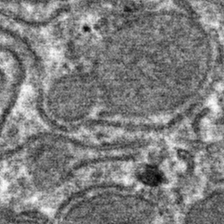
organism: Mouse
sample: Mouse hepatocytes